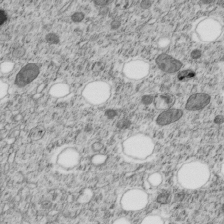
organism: C. elegans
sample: C. elegans embryo early stage